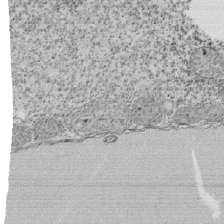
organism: Tetrahymena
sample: Cilia in tetrahymena